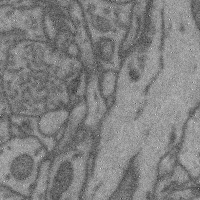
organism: Mouse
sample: Cerebral cortex